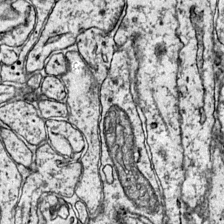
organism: Mouse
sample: Primary visual cortex